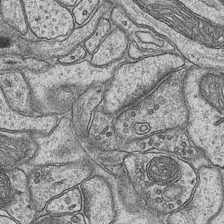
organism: Mouse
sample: CA1 Hippocampus